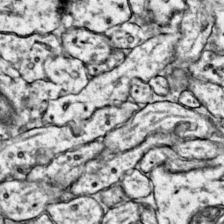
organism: Mouse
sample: Primary visual cortex